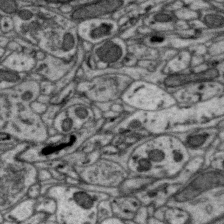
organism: Zebra finch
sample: Brain